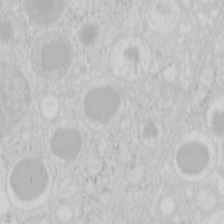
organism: Mouse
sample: Pancreas